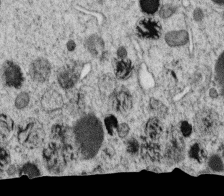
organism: C. elegans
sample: C. elegans oocyte; sperm cells